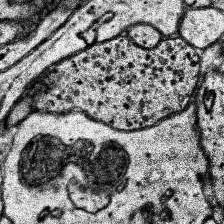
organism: Human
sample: Temporal Lobe